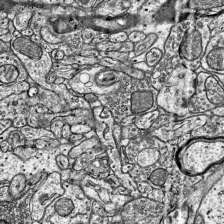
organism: Mouse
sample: Visual Cortex